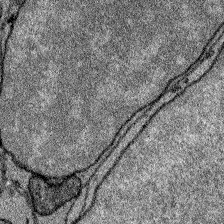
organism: Zebrafish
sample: Larval olfactory bulb